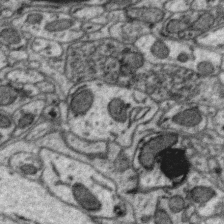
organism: Zebra finch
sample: Brain